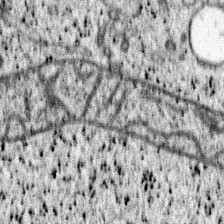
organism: Human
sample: HeLa cells